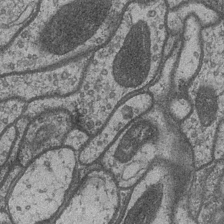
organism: Drosophila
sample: Optic medulla